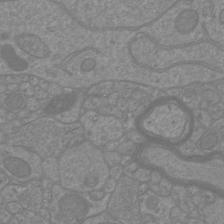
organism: Mouse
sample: Cortical neurons